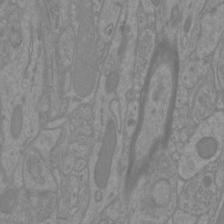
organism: Mouse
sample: Cortical neurons